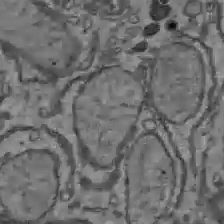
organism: C57BL Mouse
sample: Liver